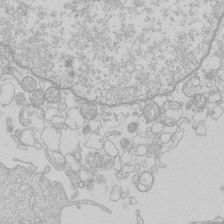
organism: Human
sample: Macrophage cells